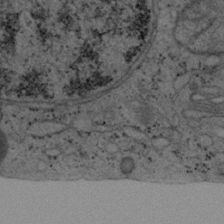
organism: Human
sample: HeLa cells